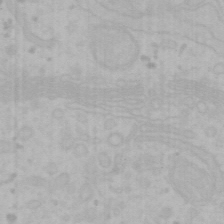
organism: Mouse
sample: Choroid plexus